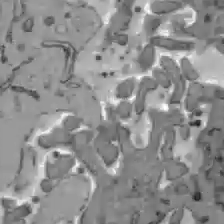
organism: C57BL Mouse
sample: Liver